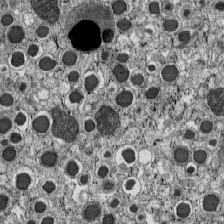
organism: C57BL Mouse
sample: Pancreatic islet